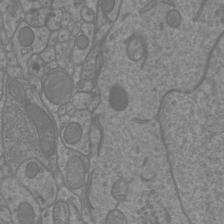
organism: Mouse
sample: Cortical neurons